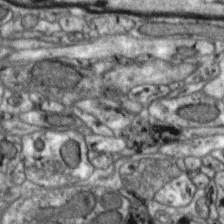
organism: Zebra finch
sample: Brain